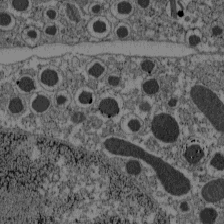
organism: C57BL Mouse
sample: Pancreatic islet